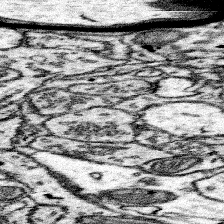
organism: Mouse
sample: Somatosensory cortex neuropil